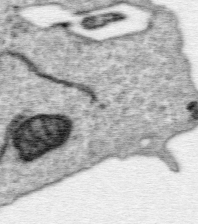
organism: Human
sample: HeLa cells